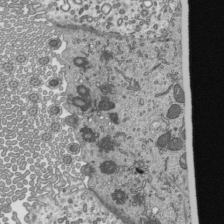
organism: Mouse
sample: Mouse epididymis efferent ductule cilia